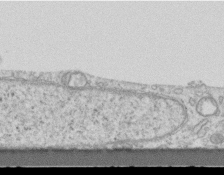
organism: Mouse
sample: Centriole in ependymal cells